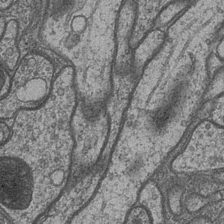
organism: Drosophila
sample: Optic medulla